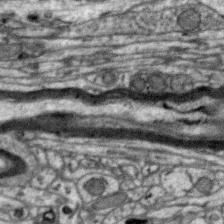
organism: Zebra finch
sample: Brain